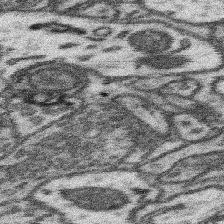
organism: Mouse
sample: Somatosensory cortex neuropil